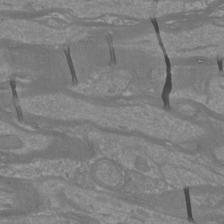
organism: Mouse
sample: Cortical neurons